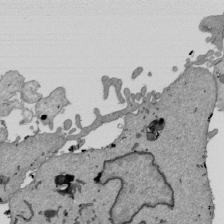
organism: Mouse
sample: ED-1 cell nuclei; centrioles